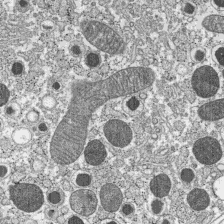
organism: C57BL Mouse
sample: Pancreatic islet